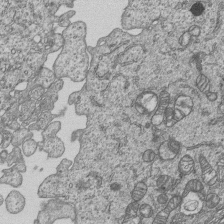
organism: Human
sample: MDA-MB-231 cells